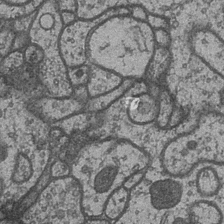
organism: Drosophila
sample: Optic medulla